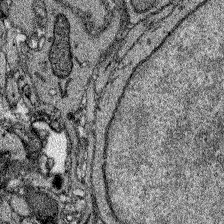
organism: Zebrafish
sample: Larval olfactory bulb